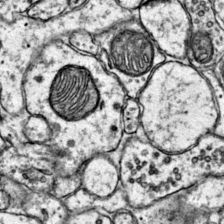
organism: Mouse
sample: Primary visual cortex